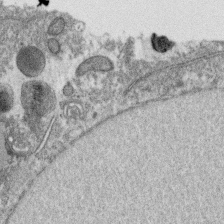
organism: C. elegans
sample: C. elegans oocyte; sperm cells